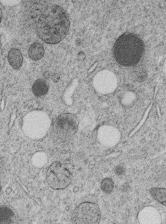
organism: C. elegans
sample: C. elegans embryo early stage